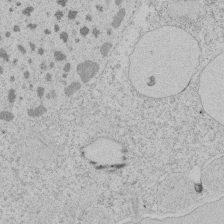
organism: Tetrahymena